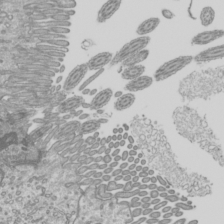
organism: Mouse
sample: Cilia; mouse epididymis